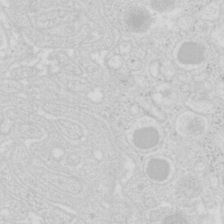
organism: Mouse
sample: Pancreas